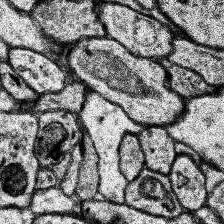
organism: Human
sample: Temporal Lobe